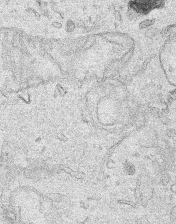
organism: Human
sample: Mitochondria in HCT116 cells